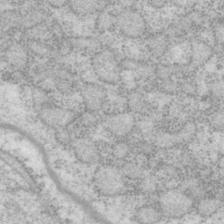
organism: P. pacificus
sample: Pharynx